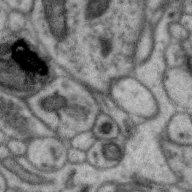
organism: Zebra finch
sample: Brain